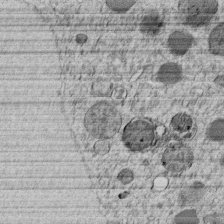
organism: C. elegans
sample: C. elegans embryo early stage